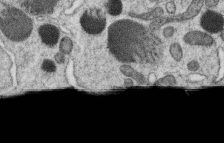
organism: C. elegans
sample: C. elegans oocyte; sperm cells